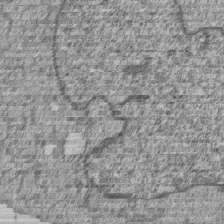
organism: Human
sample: MDA-MB-231 cells